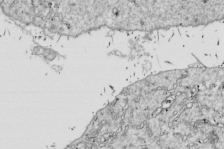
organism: Drosophila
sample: Cell division; meiosis; drosophila spermatocytes